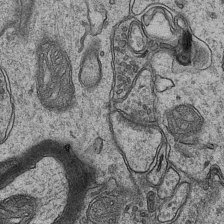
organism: Mouse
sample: CA1 Hippocampus